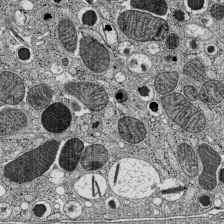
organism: C57BL Mouse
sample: Pancreatic islet